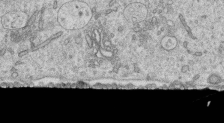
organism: Human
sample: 1205lu cells